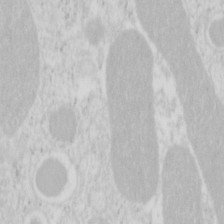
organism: Mouse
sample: Pancreas